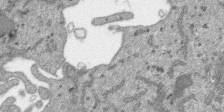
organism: Human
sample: Lung epithelial cells infected with SARS-CoV-2